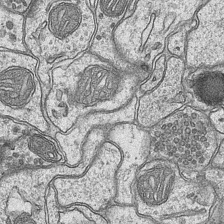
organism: Mouse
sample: CA1 Hippocampus